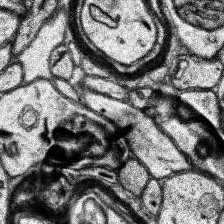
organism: Human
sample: Temporal Lobe